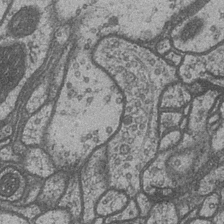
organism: Drosophila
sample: Optic medulla